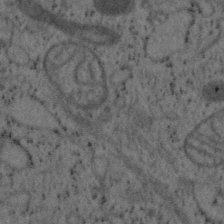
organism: Human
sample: HeLa cells